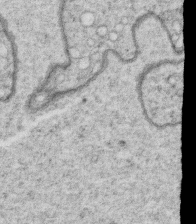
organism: C. elegans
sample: C. elegans oocyte; sperm cells